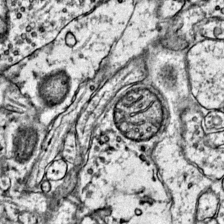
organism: Mouse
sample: Primary visual cortex